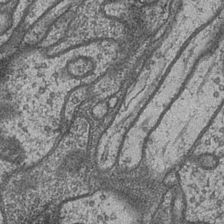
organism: Drosophila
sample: Optic medulla